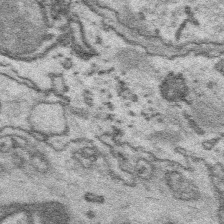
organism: Platynereis dumerilii